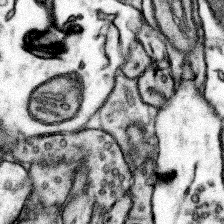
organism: Mouse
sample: Somatosensory cortex neuropil